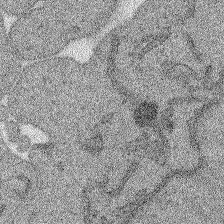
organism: Human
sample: HeLa cells